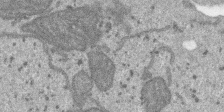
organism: Human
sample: Lung epithelial cells infected with SARS-CoV-2